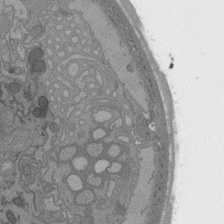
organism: C. elegans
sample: AFD neurons C. elegans